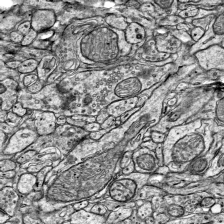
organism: Mouse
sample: Visual Cortex